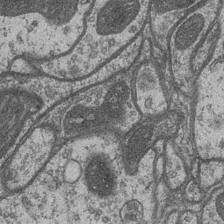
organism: Drosophila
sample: Optic medulla